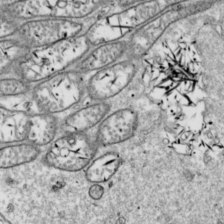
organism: Drosophila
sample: Cell division; meiosis; drosophila spermatocytes